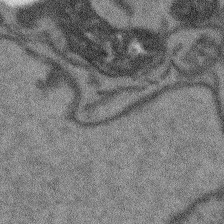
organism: Arabidopsis thaliana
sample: Root tip